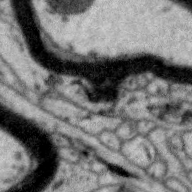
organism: Zebra finch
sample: Brain